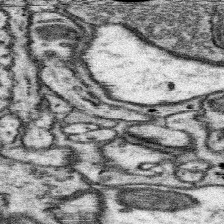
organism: Mouse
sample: Somatosensory cortex neuropil